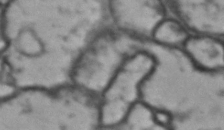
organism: Drosophila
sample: Brain